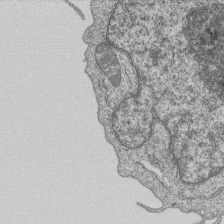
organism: Human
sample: MDA-MB-231 cells